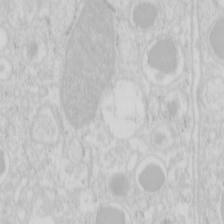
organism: Mouse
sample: Pancreas